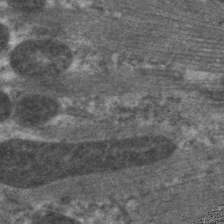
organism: C. elegans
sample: Pharynx